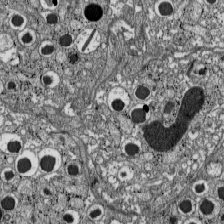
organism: C57BL Mouse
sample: Pancreatic islet